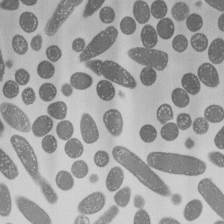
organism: E. coli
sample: Bacterial nucleoid